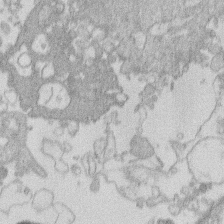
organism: Human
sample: Macrophage cells